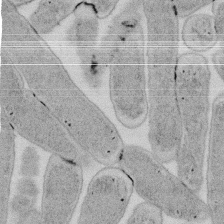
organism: E. coli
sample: Bacterial nucleoid